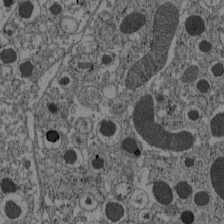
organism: C57BL Mouse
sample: Pancreatic islet